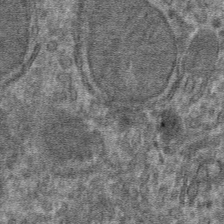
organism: Mouse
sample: Mouse hepatocytes